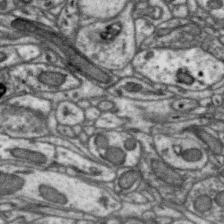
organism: Zebra finch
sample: Brain